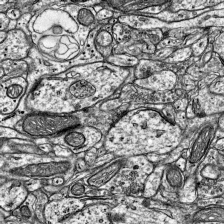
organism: Mouse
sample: Visual Cortex